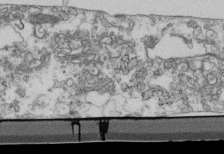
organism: Mouse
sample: Cilia; retinal pigment epithelium